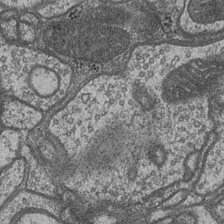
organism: Drosophila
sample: Optic medulla